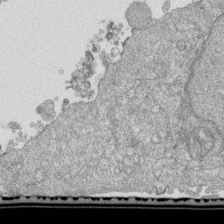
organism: Human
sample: HeLa cell HIV synapse